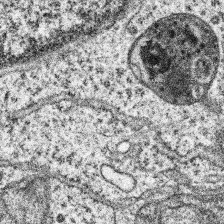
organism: Human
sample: HeLa cells